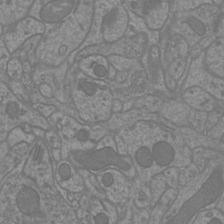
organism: Mouse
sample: Cortical neurons